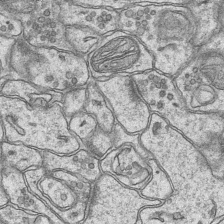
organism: Mouse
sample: CA1 Hippocampus